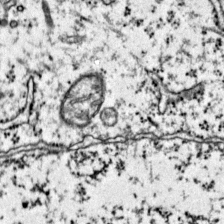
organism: Mouse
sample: Primary visual cortex